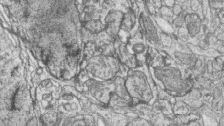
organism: Zebrafish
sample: synaptic ribbons in rod cells and cone cells